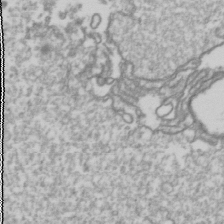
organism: Drosophila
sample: Cell division; meiosis; drosophila spermatocytes